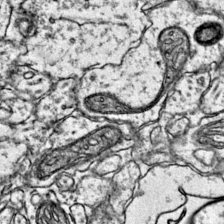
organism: Mouse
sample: Primary visual cortex